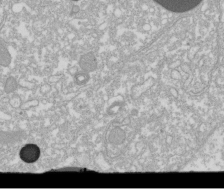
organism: Xenopus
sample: Cilia; centrioles in frog embryo cells